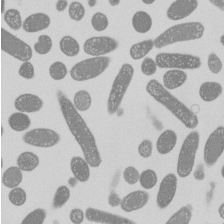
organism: E. coli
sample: Bacterial nucleoid